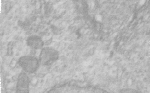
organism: Human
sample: Centriole in RPE cells